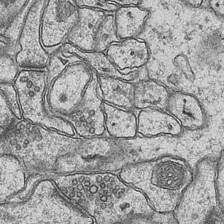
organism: Mouse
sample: CA1 Hippocampus